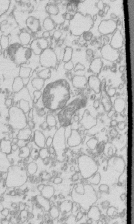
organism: Mouse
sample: Macrophages